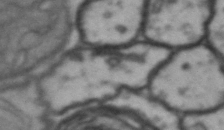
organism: Drosophila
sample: Brain